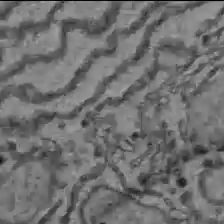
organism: C57BL Mouse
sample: Liver